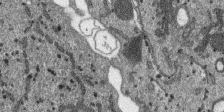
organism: Human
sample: Lung epithelial cells infected with SARS-CoV-2